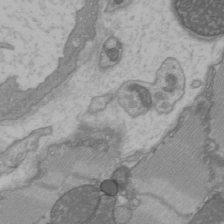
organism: C57BL Mouse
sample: Heart